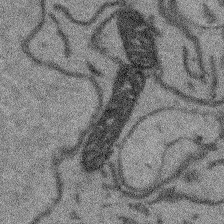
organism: Arabidopsis thaliana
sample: Root tip